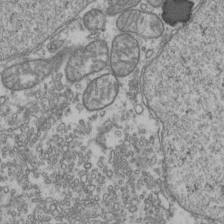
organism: Human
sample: Activated Jurkat CD4+ T cells